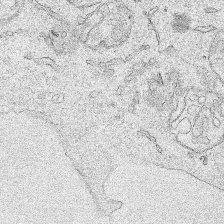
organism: Human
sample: Mitochondria in HCT116 cells